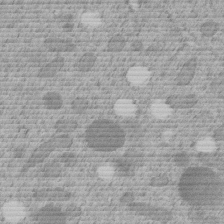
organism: C. elegans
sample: C. elegans embryo early stage